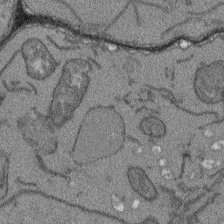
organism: Arabidopsis thaliana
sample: Root tip